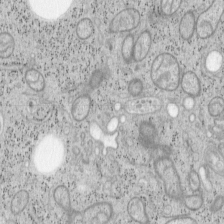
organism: Mouse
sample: OT-I killer T cells with ID8 ovarian cancer cells